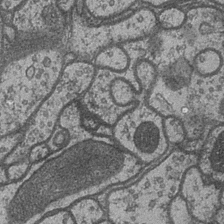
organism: Drosophila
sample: Optic medulla